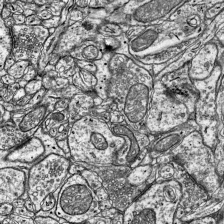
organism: Mouse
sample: Visual Cortex